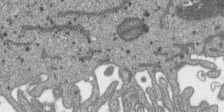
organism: Human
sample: Lung epithelial cells infected with SARS-CoV-2